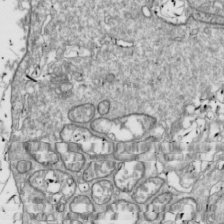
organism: Drosophila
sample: Cell division; meiosis; drosophila spermatocytes